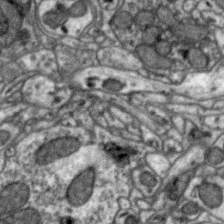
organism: Zebra finch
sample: Brain